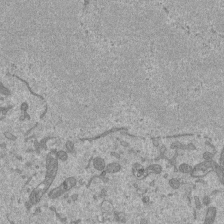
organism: Mouse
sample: ED-1 cell nuclei; centrioles